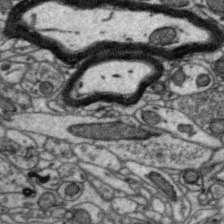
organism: Zebra finch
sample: Brain